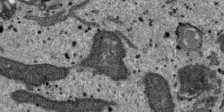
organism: Human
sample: Lung epithelial cells, uninfected (mock) control